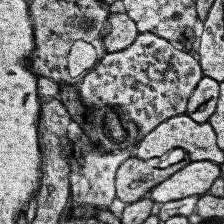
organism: Human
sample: Temporal Lobe